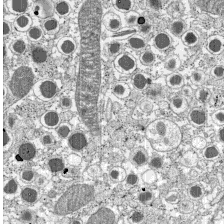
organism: C57BL Mouse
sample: Pancreatic islet